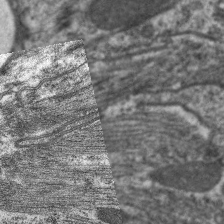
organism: C. elegans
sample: Pharynx